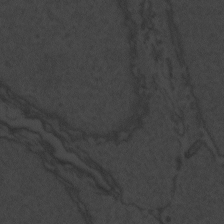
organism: Zebrafish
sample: Macrophage infected with Toxoplasma gondii